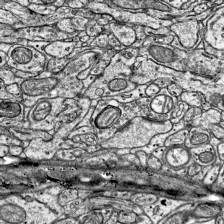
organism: Mouse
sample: Visual Cortex